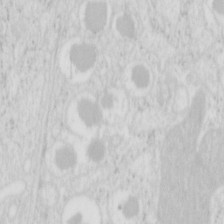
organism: Mouse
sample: Pancreas